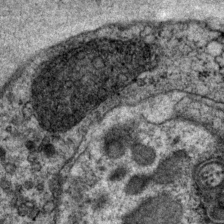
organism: P. pacificus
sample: Pharynx